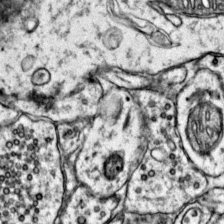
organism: Mouse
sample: Primary visual cortex